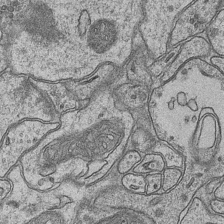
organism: Mouse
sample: CA1 Hippocampus